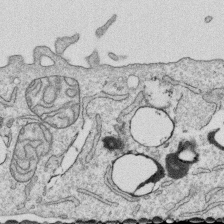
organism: Human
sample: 1205lu cells